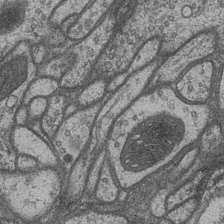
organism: Drosophila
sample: Optic medulla